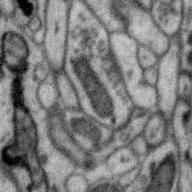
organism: Zebra finch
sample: Brain